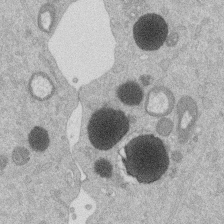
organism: Mouse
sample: Dividing mouse embryo 1 cell stage